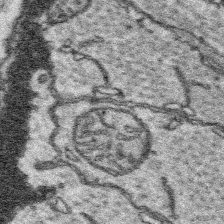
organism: Platynereis dumerilii